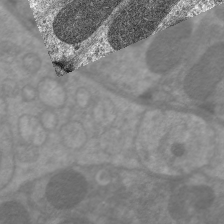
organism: C. elegans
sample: Pharynx